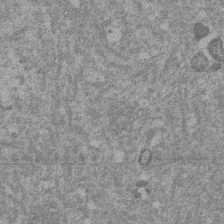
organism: Mouse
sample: Dividing mouse embryo 1 cell stage